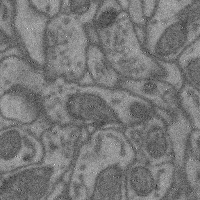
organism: Mouse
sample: Cerebral cortex